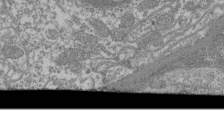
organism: Mouse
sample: Glomerulus